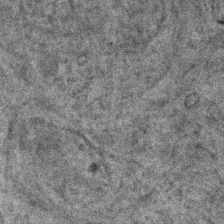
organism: Human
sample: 1205lu cells